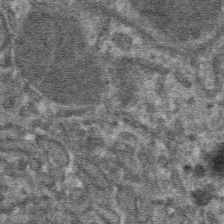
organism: Mouse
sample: Mouse hepatocytes